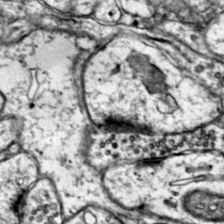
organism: Mouse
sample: Primary visual cortex